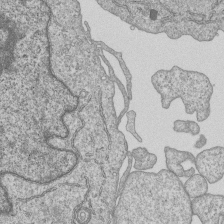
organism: Human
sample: MDA-MB-231 cells